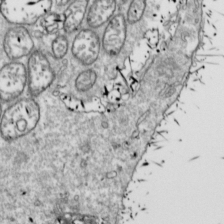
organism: Drosophila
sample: Cell division; meiosis; drosophila spermatocytes